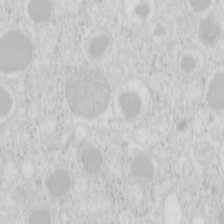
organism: Mouse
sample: Pancreas